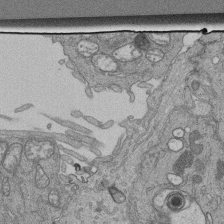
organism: Human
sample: Retinal organoid Rod and Cone cells